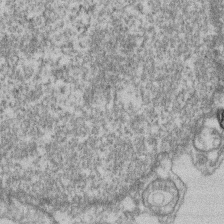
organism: Mouse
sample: T cell stromal cell synapse